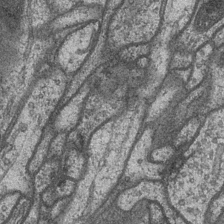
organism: Drosophila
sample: Optic medulla